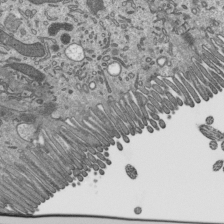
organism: Mouse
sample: Mouse epididymis efferent ductule cilia